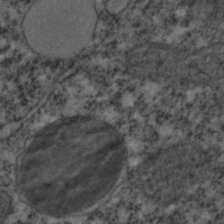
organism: C. elegans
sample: C. elegans embryo